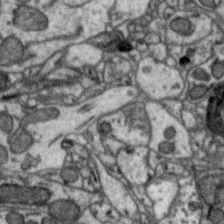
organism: Zebra finch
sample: Brain